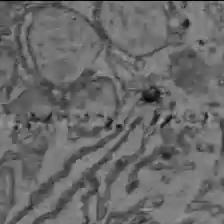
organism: C57BL Mouse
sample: Liver